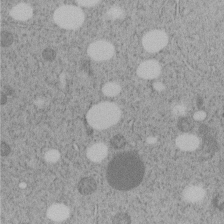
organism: C. elegans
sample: C. elegans embryo early stage